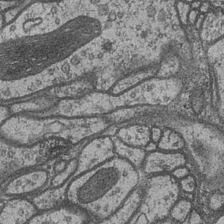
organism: Drosophila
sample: Optic medulla